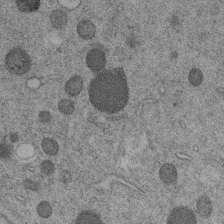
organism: C. elegans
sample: C. elegans embryo early stage